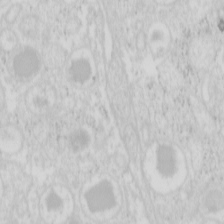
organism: Mouse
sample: Pancreas